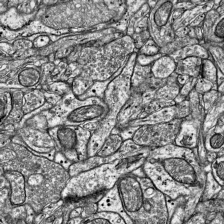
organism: Mouse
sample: Visual Cortex